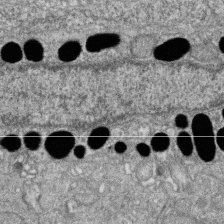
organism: Zebrafish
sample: Cilia; retinal pigment epithelium